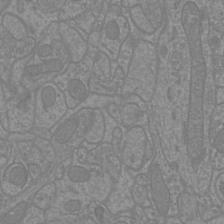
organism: Mouse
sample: Cortical neurons